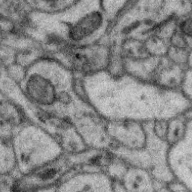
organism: Zebra finch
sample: Brain